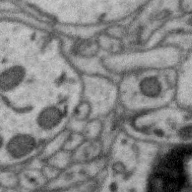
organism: Zebra finch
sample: Brain